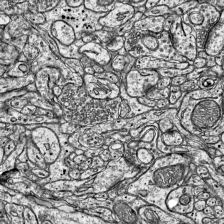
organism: Mouse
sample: Visual Cortex